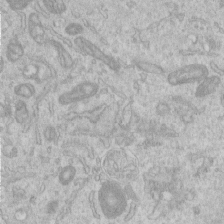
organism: Human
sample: Centriole in RPE cells